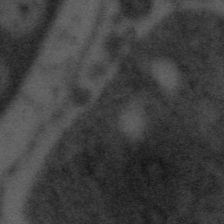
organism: Tuwongella immobilis